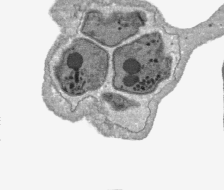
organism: Plasmodium falciparum